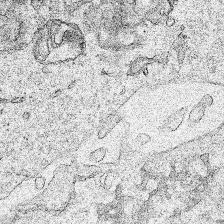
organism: Human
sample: Mitochondria in HCT116 cells